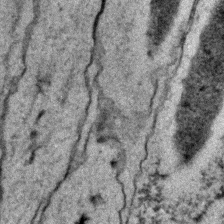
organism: C. elegans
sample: C. elegans embryo